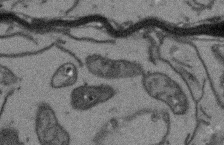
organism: Arabidopsis thaliana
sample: Root tip